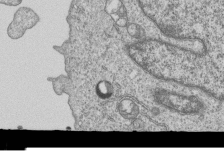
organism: Human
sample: MDA-MB-231 cells